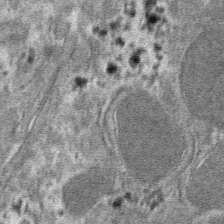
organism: Mouse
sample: Mouse hepatocytes